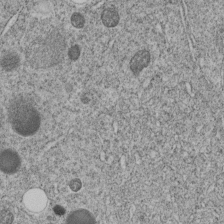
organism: C. elegans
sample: C. elegans embryo early stage